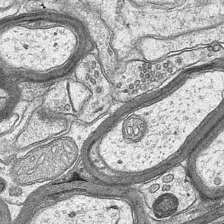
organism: Mouse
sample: CA1 Hippocampus